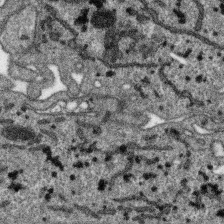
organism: Human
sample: Lung epithelial cells infected with SARS-CoV-2